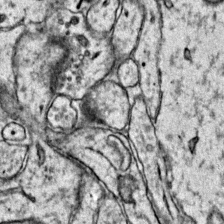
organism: Mouse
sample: Primary visual cortex